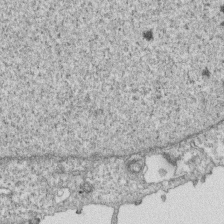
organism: Human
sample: HeLa cell HIV synapse